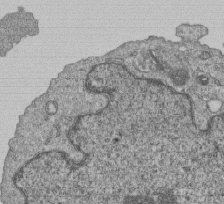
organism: Human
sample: MDA-MB-231 cells